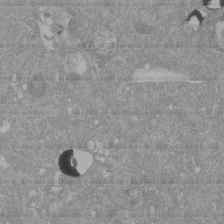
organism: Mouse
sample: ED-1 cell nuclei; centrioles